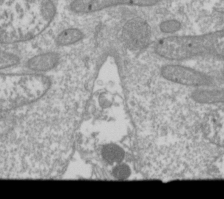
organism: Drosophila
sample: Cell division; meiosis; drosophila spermatocytes